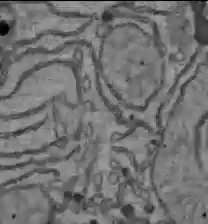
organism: C57BL Mouse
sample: Liver